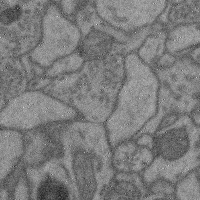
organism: Mouse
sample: Cerebral cortex